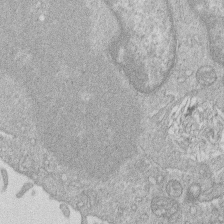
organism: Human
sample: Macrophage cells